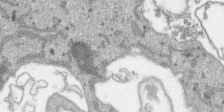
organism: Human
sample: Lung epithelial cells infected with SARS-CoV-2